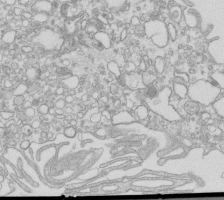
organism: Mouse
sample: Macrophages